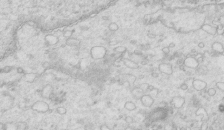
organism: Mouse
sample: Multiciliated cells